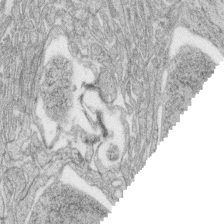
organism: Zebrafish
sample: synaptic ribbons in rod cells and cone cells